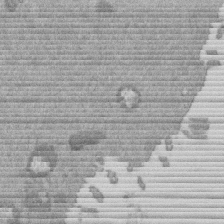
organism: Mouse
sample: Dividing mouse embryo 1 cell stage